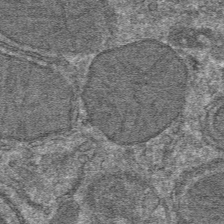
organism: Mouse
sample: Mouse hepatocytes